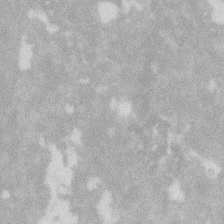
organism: Zebrafish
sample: Macrophage